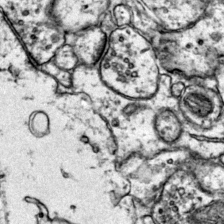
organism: Mouse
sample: Primary visual cortex